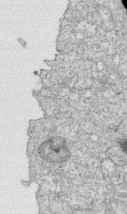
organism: Human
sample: HeLa cell HIV synapse